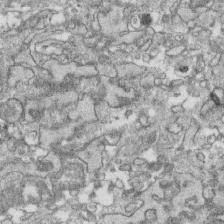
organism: Human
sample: CRL-1474